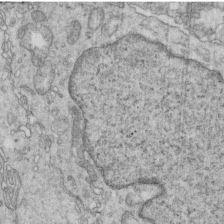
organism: Mouse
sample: Multiciliated cells